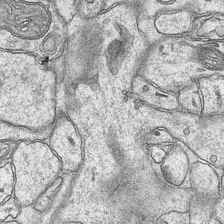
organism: Mouse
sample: CA1 Hippocampus